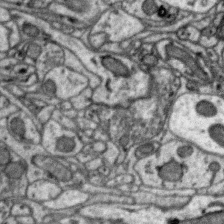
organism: Zebra finch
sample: Brain